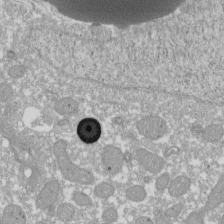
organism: Xenopus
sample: Cilia; centrioles in frog embryo cells